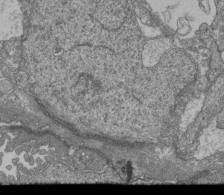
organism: Human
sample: Retinal organoid Rod and Cone cells